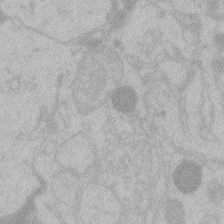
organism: Zebrafish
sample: Macrophage infected with Toxoplasma gondii